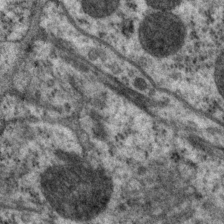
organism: P. pacificus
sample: Pharynx